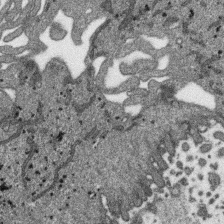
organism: Human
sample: Lung epithelial cells infected with SARS-CoV-2